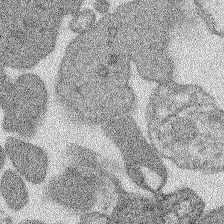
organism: Human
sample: HeLa cells